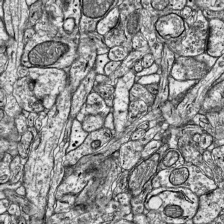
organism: Mouse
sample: Visual Cortex